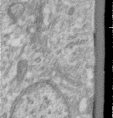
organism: Human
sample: Centriole in RPE cells